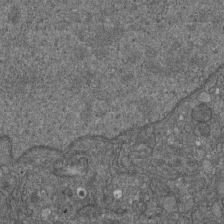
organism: Drosophila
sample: Nephrocyte